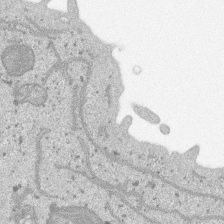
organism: Human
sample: Lung epithelial cells infected with SARS-CoV-2